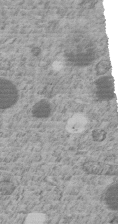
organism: C. elegans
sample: C. elegans embryo early stage